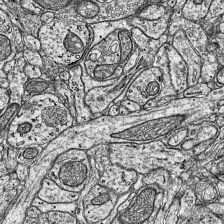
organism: Mouse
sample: Visual Cortex